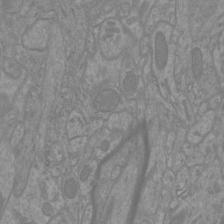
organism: Mouse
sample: Cortical neurons